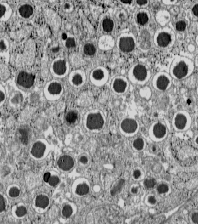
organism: C57BL Mouse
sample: Pancreatic islet